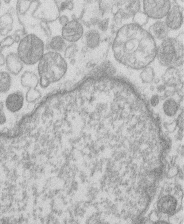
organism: Human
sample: Macrophage cells